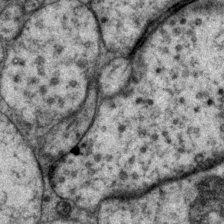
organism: P. pacificus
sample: Pharynx